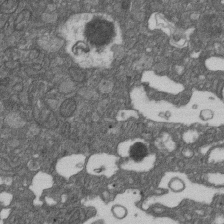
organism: Drosophila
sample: Nephrocyte